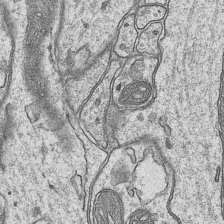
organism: Mouse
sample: CA1 Hippocampus